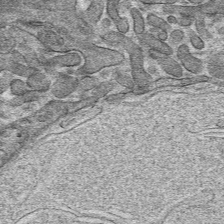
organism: Mouse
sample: Mouse hepatocytes